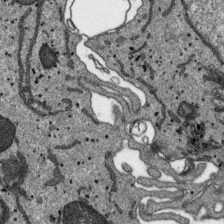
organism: Human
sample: Lung epithelial cells, uninfected (mock) control